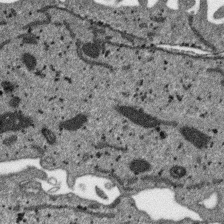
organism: Human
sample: Lung epithelial cells infected with SARS-CoV-2